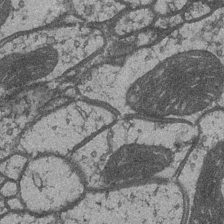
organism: Drosophila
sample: Optic medulla